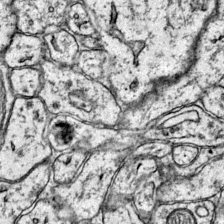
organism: Mouse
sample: Primary visual cortex